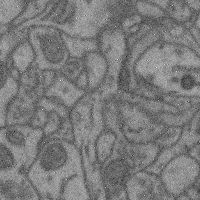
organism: Mouse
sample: Cerebral cortex